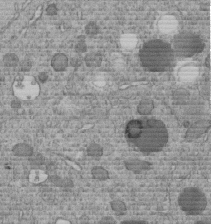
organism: C. elegans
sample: C. elegans embryo early stage